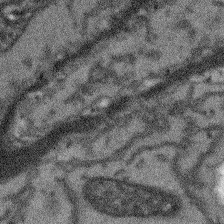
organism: Arabidopsis thaliana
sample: Root tip